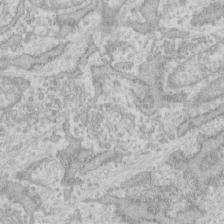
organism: Human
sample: Fibroblast cells